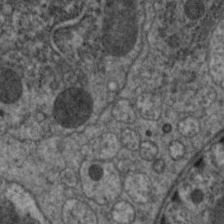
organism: C. elegans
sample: Pharynx